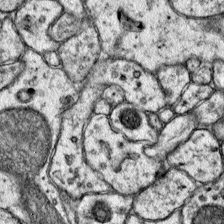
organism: Mouse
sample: Primary visual cortex